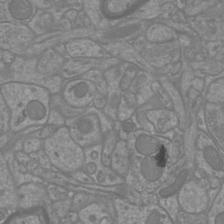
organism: Mouse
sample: Cortical neurons